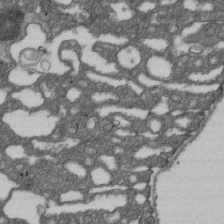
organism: Drosophila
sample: Nephrocyte